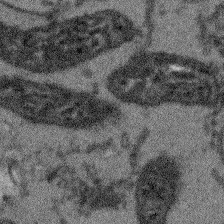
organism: Arabidopsis thaliana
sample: Root tip